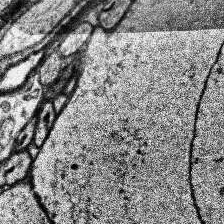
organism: Human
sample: Temporal Lobe